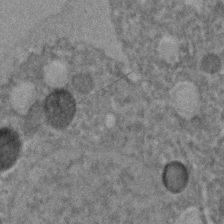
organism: C. elegans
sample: C. elegans embryo